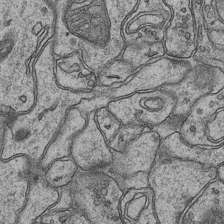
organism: Mouse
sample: CA1 Hippocampus